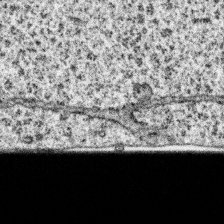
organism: Human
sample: HeLa cells